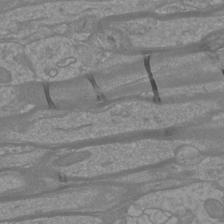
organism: Mouse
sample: Cortical neurons